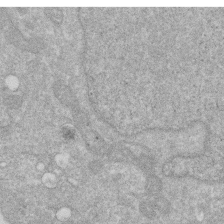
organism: Human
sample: HIV infected U937 cells